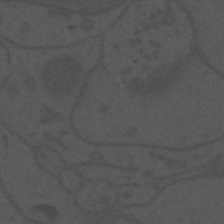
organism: Mouse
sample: Suprachiasmatic nucleus